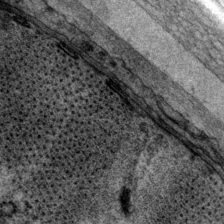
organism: P. pacificus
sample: Pharynx